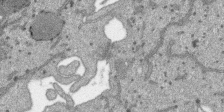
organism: Human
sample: Lung epithelial cells infected with SARS-CoV-2